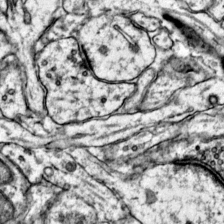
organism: Mouse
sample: Primary visual cortex